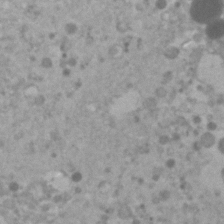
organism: Human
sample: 1205lu cells